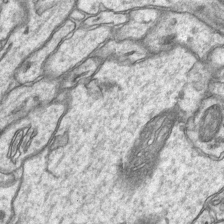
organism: Mouse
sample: CA1 Hippocampus